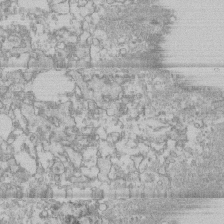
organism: Human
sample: CRL-1474